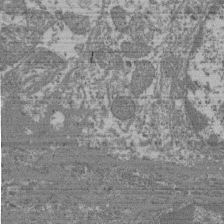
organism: Mouse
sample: Glomerulus